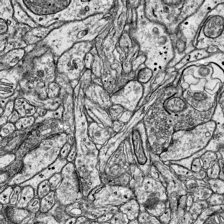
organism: Mouse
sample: Visual Cortex